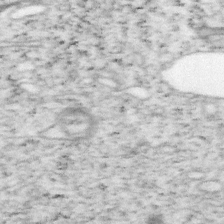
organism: Mouse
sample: OT-I killer T cells with ID8 ovarian cancer cells